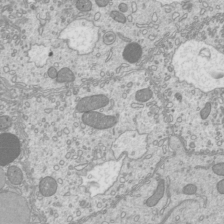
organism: Mouse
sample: Cilia; mouse epididymis